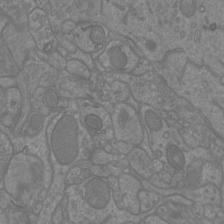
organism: Mouse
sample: Cortical neurons